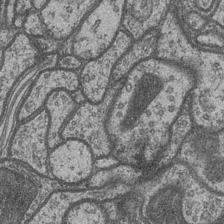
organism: Drosophila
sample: Optic medulla